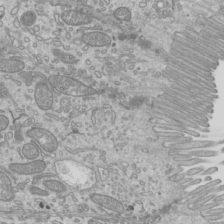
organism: Mouse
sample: Cilia; mouse epididymis